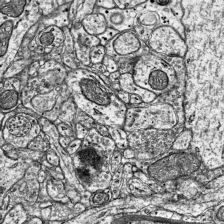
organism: Mouse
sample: Visual Cortex